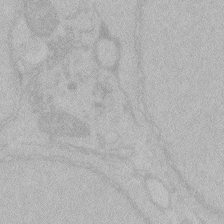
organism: Zebrafish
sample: Macrophage infected with Toxoplasma gondii